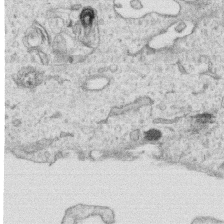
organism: Human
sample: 1205lu cells